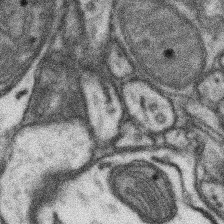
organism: Mouse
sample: Somatosensory cortex neuropil